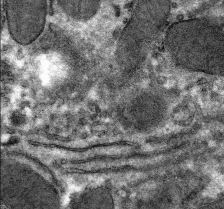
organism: Mouse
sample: Mouse hepatocytes